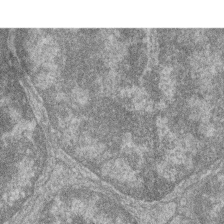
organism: Zebrafish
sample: Cilia; retinal pigment epithelium